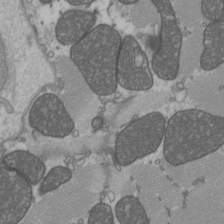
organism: C57BL Mouse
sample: Heart